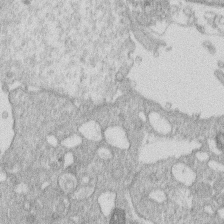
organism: Human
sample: Macrophage cells